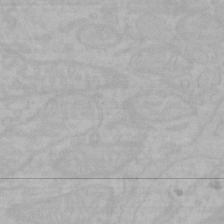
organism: Mouse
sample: Choroid plexus